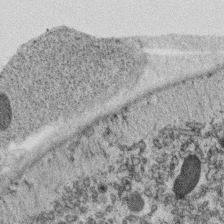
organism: C. elegans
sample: C. elegans oocyte; sperm cells